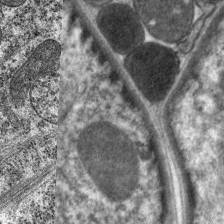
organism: C. elegans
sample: Pharynx